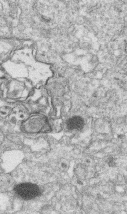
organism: Human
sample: HeLa cell HIV synapse